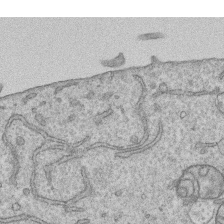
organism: Human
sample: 1205lu cells